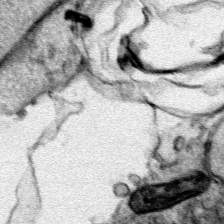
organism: Human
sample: Mitochondria in HCT116 cells